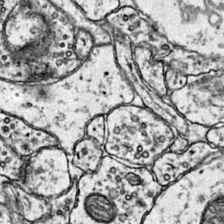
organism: Mouse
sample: Primary visual cortex